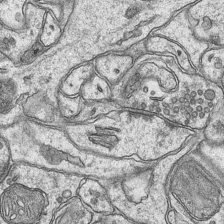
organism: Mouse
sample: CA1 Hippocampus